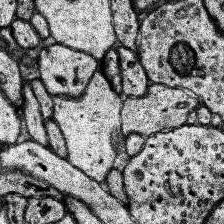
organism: Human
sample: Temporal Lobe